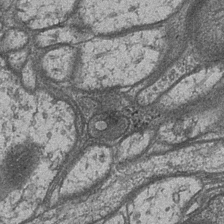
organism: Drosophila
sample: Optic medulla